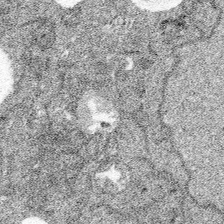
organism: Spongilla lacustris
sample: Multiple